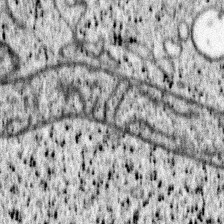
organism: Human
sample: HeLa cells